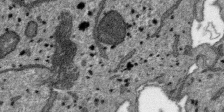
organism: Human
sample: Lung epithelial cells, uninfected (mock) control